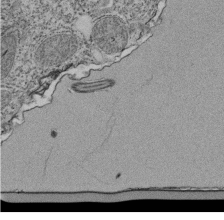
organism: Tetrahymena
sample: Cilia in tetrahymena